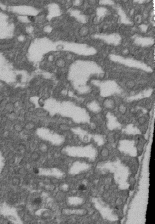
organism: Drosophila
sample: Nephrocyte